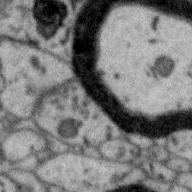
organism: Zebra finch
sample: Brain